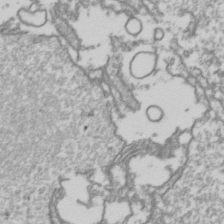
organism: Drosophila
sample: Cell division; meiosis; drosophila spermatocytes